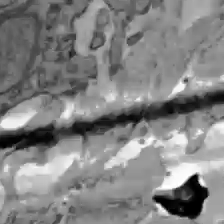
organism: C57BL Mouse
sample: Liver